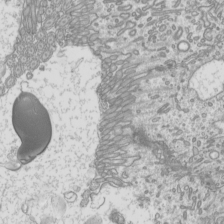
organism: Mouse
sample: Cilia; mouse epididymis